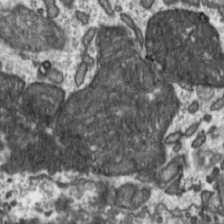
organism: Toxoplasma gondii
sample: Parasites in a vacuole inside a host cell